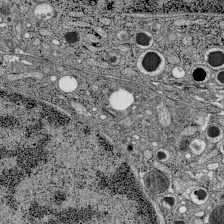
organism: C57BL Mouse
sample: Pancreatic islet